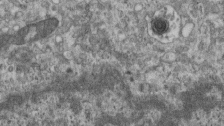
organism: Mouse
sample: Centriole in ependymal cells